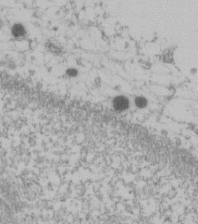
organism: Human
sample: U2-OS cells